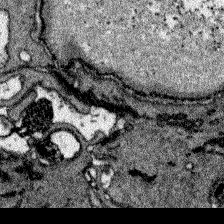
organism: Zebrafish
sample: Larval olfactory bulb